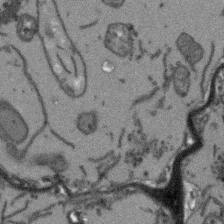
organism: Arabidopsis thaliana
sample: Root tip